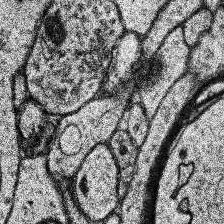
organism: Human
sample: Temporal Lobe